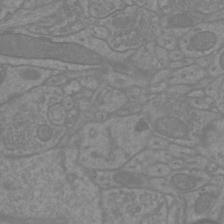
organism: Mouse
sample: Cortical neurons